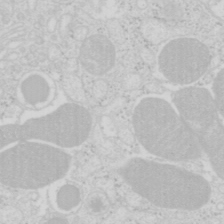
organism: Mouse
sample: Pancreas